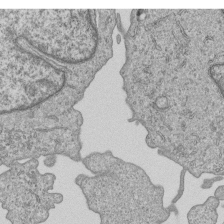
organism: Human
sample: MDA-MB-231 cells